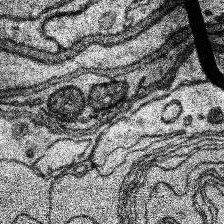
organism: Human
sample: Temporal Lobe